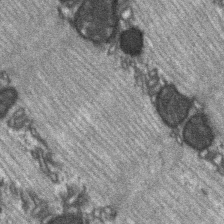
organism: C57BL Mouse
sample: Soleus